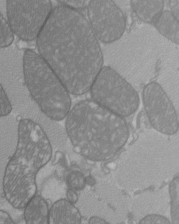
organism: C57BL Mouse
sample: Heart